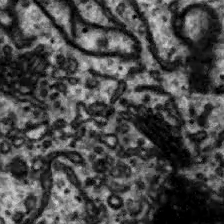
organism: Human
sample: HeLa cells